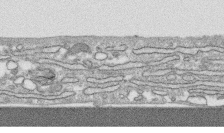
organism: Human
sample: CRL-1474